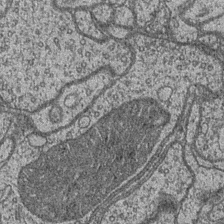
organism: Drosophila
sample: Optic medulla